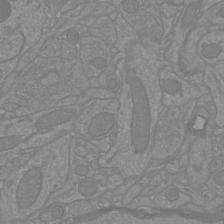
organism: Mouse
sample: Cortical neurons